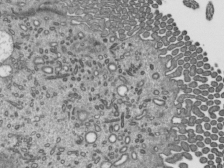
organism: Mouse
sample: Mouse epididymis efferent ductule cilia